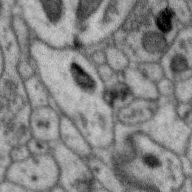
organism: Zebra finch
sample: Brain